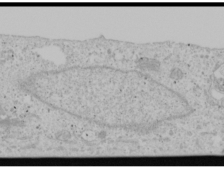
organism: Human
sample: Mitochondria in U2OS cells